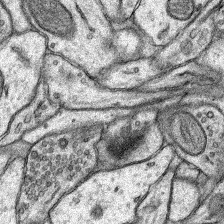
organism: Rat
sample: Hippocampus